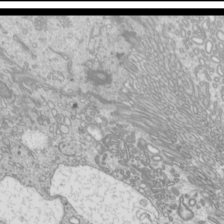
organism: Mouse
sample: Cilia; mouse epididymis